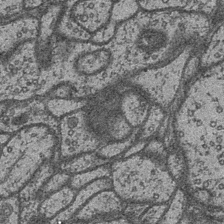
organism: Drosophila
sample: Optic medulla